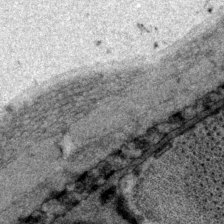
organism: P. pacificus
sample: Pharynx